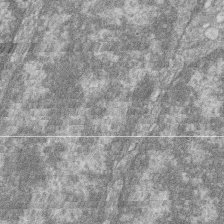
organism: Zebrafish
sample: Cilia; retinal pigment epithelium